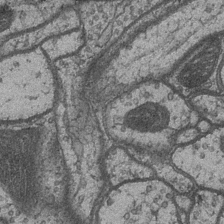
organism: Drosophila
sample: Optic medulla